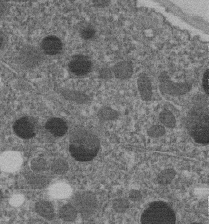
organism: C. elegans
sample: C. elegans embryo early stage